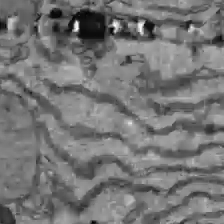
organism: C57BL Mouse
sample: Liver